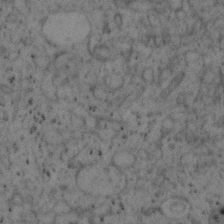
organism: Human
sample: HeLa cells